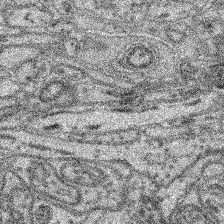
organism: Mouse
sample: Retina